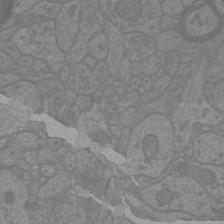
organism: Mouse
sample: Cortical neurons